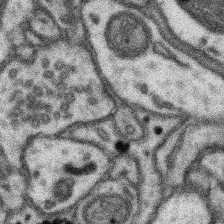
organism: Mouse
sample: Somatosensory cortex neuropil